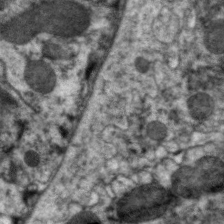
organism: C. elegans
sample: Pharynx